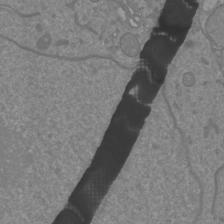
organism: Mouse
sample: Cortical neurons